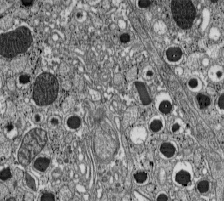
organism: C57BL Mouse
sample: Pancreatic islet